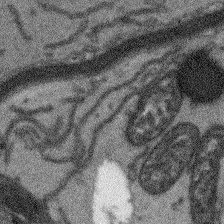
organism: Arabidopsis thaliana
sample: Root tip